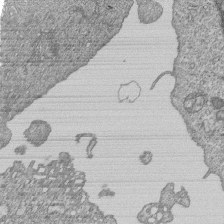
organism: Human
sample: MDA-MB-231 cells